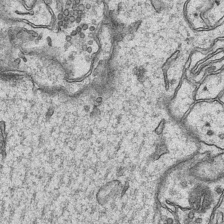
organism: Mouse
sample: CA1 Hippocampus